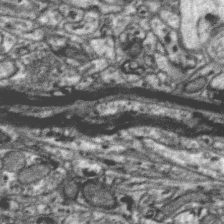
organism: Zebra finch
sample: Brain